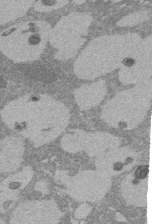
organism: Rat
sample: Salivary granule